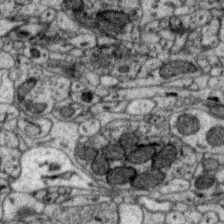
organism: Zebra finch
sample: Brain